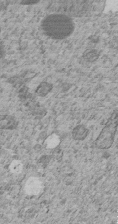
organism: C. elegans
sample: C. elegans embryo early stage